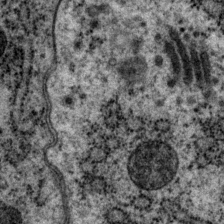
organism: P. pacificus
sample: Pharynx